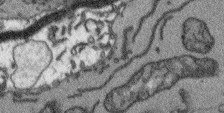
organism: Arabidopsis thaliana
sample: Root tip